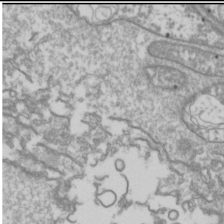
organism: Drosophila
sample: Cell division; meiosis; drosophila spermatocytes